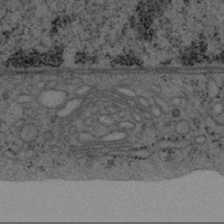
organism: Human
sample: HeLa cells